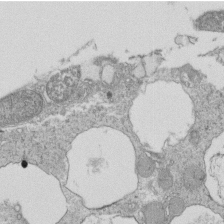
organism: Tetrahymena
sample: Cilia in tetrahymena